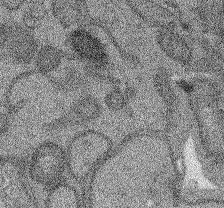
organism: Human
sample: HeLa cells